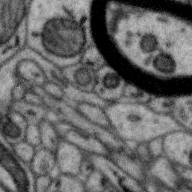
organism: Zebra finch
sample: Brain